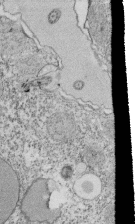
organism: Tetrahymena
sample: Cilia in tetrahymena